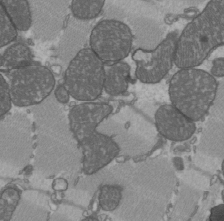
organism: C57BL Mouse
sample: Heart